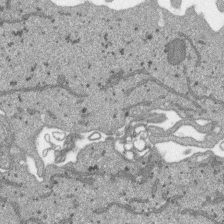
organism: Human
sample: Lung epithelial cells infected with SARS-CoV-2